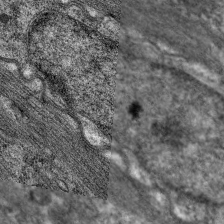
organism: C. elegans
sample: Pharynx